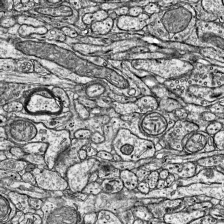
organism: Mouse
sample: Visual Cortex